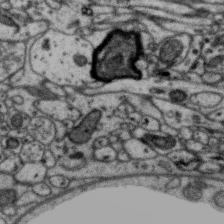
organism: Zebra finch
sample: Brain